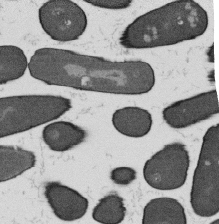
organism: B. subtilis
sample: Bacterial spore